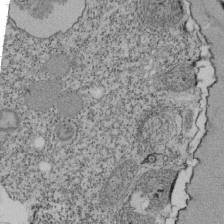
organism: Tetrahymena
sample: Cilia in tetrahymena